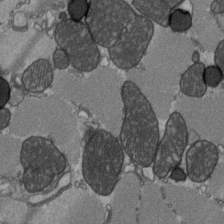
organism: C57BL Mouse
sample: Heart